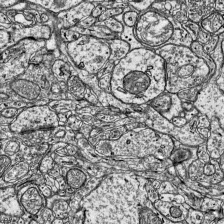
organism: Mouse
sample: Visual Cortex